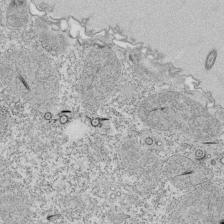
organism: Tetrahymena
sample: Cilia in tetrahymena